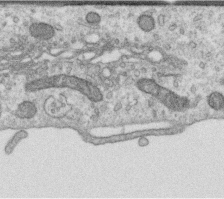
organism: Human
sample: Centriole in RPE cells